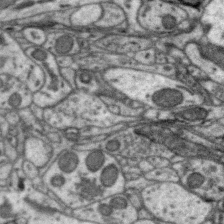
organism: Zebra finch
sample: Brain